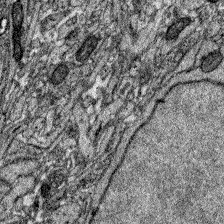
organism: Zebrafish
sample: Larval olfactory bulb